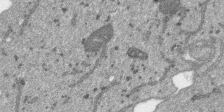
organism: Human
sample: Lung epithelial cells infected with SARS-CoV-2